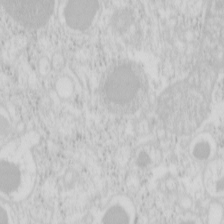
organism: Mouse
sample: Pancreas